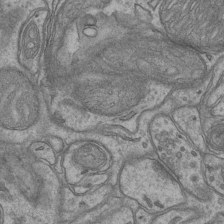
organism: Mouse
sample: CA1 Hippocampus